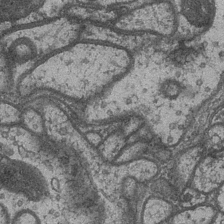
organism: Drosophila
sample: Optic medulla